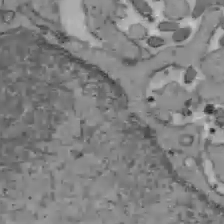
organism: C57BL Mouse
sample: Liver